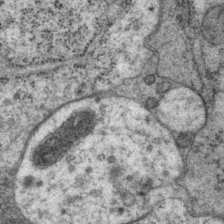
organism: P. pacificus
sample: Pharynx